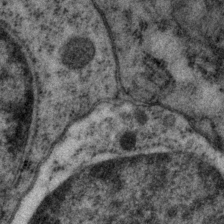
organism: P. pacificus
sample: Pharynx